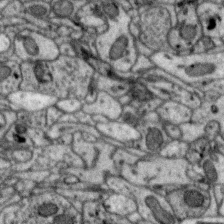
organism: Zebra finch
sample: Brain